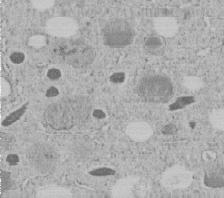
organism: C. elegans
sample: C. elegans embryo early stage